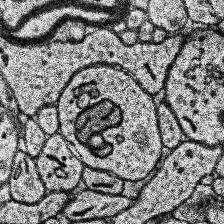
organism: Human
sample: Temporal Lobe